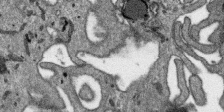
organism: Human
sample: Lung epithelial cells, uninfected (mock) control